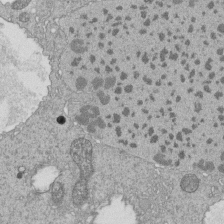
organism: Tetrahymena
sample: Cilia in tetrahymena